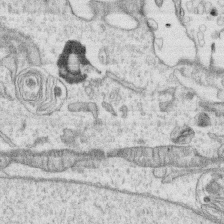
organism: Human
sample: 1205lu cells